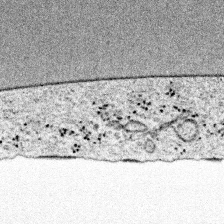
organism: Human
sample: HeLa cells